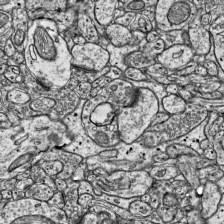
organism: Mouse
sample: Visual Cortex